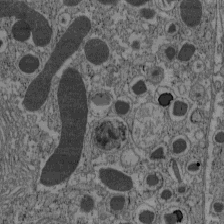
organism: C57BL Mouse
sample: Pancreatic islet